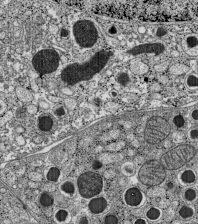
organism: C57BL Mouse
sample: Pancreatic islet